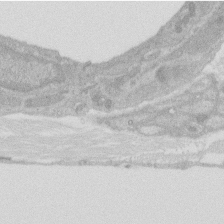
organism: Rat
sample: Salivary granule